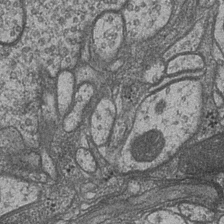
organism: Drosophila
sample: Optic medulla